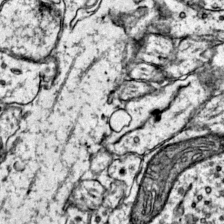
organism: Mouse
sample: Primary visual cortex